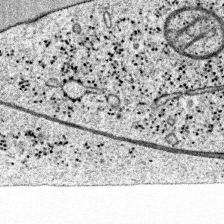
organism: Human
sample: HeLa cells